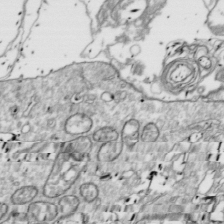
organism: Drosophila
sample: Cell division; meiosis; drosophila spermatocytes